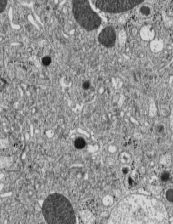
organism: C57BL Mouse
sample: Pancreatic islet